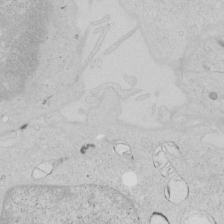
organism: Human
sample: Mitochondria in HCT116 cells